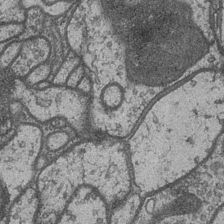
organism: Drosophila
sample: Optic medulla